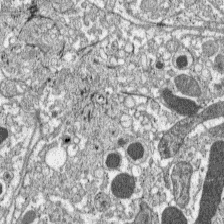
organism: C57BL Mouse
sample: Pancreatic islet